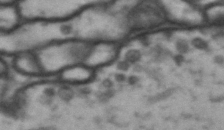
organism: Drosophila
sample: Brain